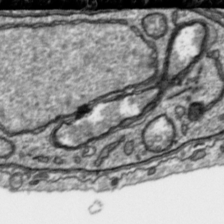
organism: Toxoplasma gondii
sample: Parasites in a vacuole inside a host cell